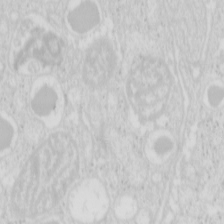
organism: Mouse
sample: Pancreas